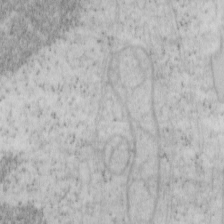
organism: Human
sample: HeLa cells